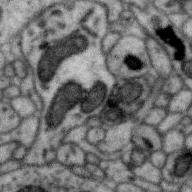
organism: Zebra finch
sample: Brain